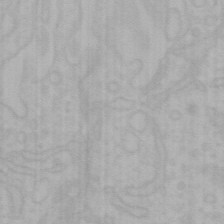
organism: Mouse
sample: Choroid plexus